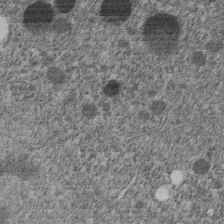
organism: C. elegans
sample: C. elegans embryo early stage